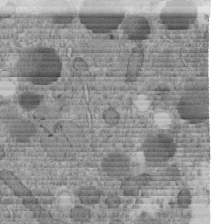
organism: C. elegans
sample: C. elegans embryo early stage